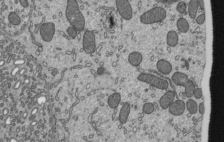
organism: Mouse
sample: Mouse epididymis efferent ductule cilia